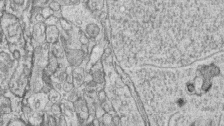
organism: Zebrafish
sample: synaptic ribbons in rod cells and cone cells